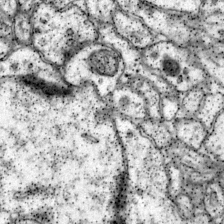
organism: Mouse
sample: Primary visual cortex